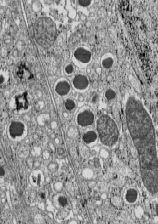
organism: C57BL Mouse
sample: Pancreatic islet